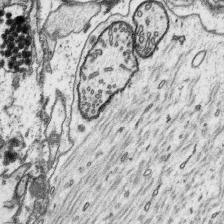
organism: Platynereis dumerilii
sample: Parapodia